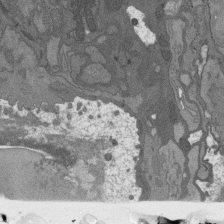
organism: C. elegans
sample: AFD neurons C. elegans